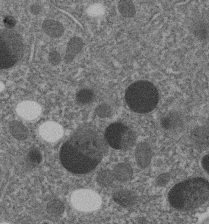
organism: C. elegans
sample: C. elegans embryo early stage